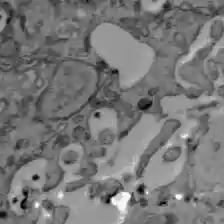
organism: C57BL Mouse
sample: Liver